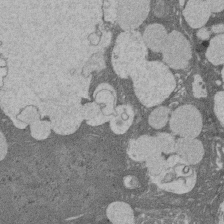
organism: Rat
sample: Salivary granule